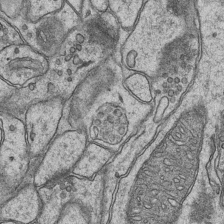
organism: Mouse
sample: CA1 Hippocampus